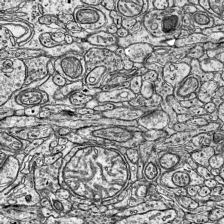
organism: Mouse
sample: Visual Cortex